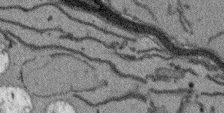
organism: Arabidopsis thaliana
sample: Root tip